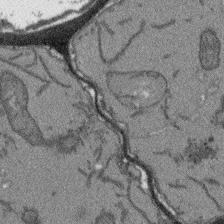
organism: Arabidopsis thaliana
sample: Root tip